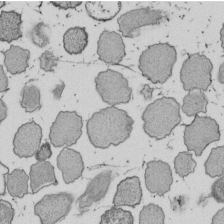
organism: E. coli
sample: Bacterial nucleoid